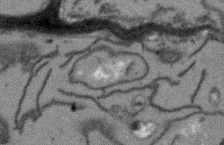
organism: Arabidopsis thaliana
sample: Root tip